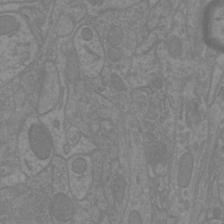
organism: Mouse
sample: Cortical neurons